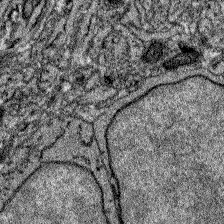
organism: Zebrafish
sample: Larval olfactory bulb